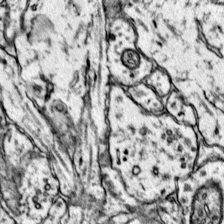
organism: Mouse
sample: Primary visual cortex